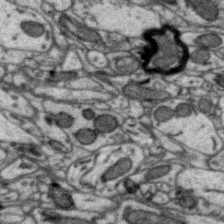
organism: Zebra finch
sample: Brain